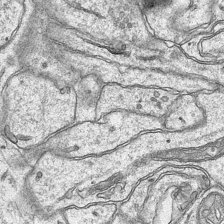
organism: Mouse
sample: CA1 Hippocampus